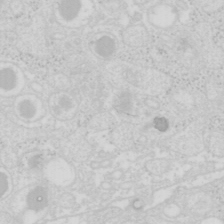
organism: Mouse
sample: Pancreas